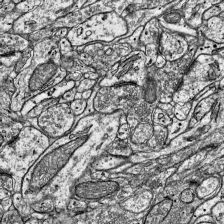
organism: Mouse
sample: Visual Cortex